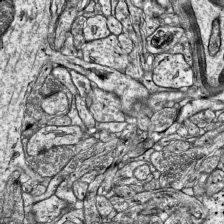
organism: Mouse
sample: Visual Cortex